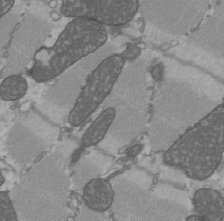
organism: C57BL Mouse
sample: Heart